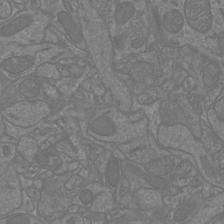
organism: Mouse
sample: Cortical neurons